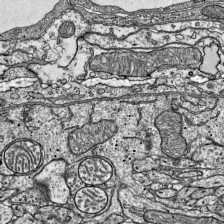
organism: Mouse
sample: Visual Cortex